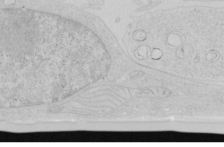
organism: Human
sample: Mitochondria in HCT116 cells